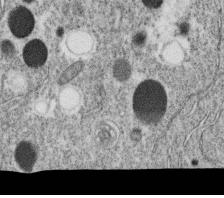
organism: C. elegans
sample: C. elegans oocyte; sperm cells